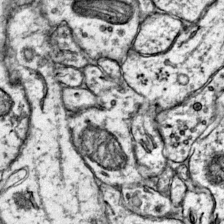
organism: Mouse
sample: Primary visual cortex